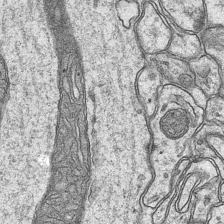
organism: Mouse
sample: CA1 Hippocampus